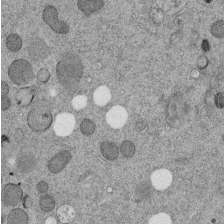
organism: C. elegans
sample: C. elegans embryo early stage